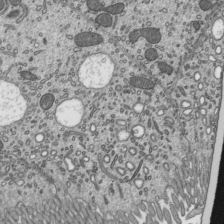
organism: Mouse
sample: Mouse epididymis efferent ductule cilia